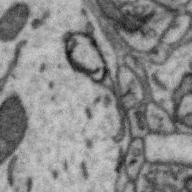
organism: Zebra finch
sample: Brain